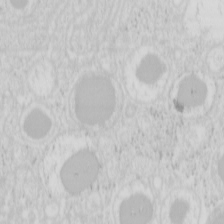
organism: Mouse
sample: Pancreas